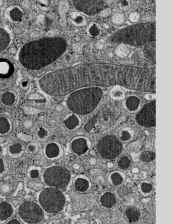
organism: C57BL Mouse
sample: Pancreatic islet